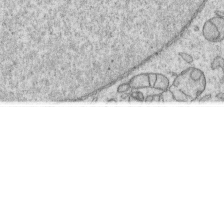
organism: Human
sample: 1205lu cells